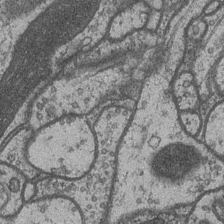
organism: Drosophila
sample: Optic medulla